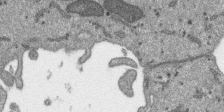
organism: Human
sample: Lung epithelial cells infected with SARS-CoV-2